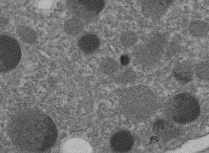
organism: C. elegans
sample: C. elegans embryo early stage